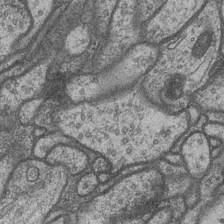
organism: Drosophila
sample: Optic medulla